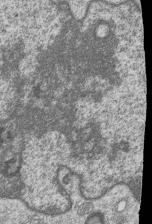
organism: Human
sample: MDA-MB-231 cells